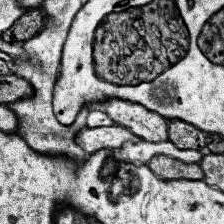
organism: Human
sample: Temporal Lobe